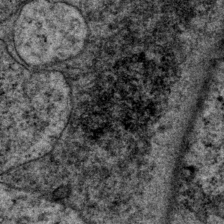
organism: P. pacificus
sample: Pharynx